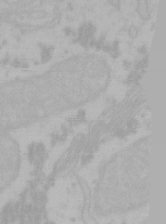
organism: Mouse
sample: Choroid plexus